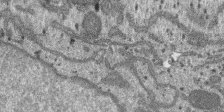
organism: Human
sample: Lung epithelial cells infected with SARS-CoV-2